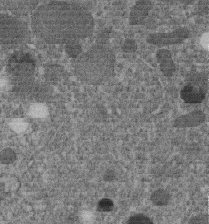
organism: C. elegans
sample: C. elegans embryo early stage